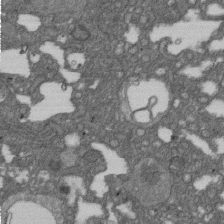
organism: Drosophila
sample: Nephrocyte